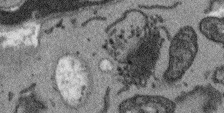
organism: Arabidopsis thaliana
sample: Root tip